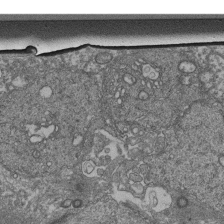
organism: Human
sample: Retinal organoid Rod and Cone cells